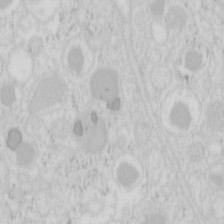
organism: Mouse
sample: Pancreas